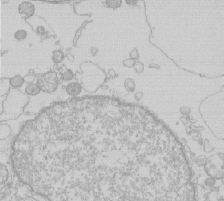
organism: Human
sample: Macrophage cells